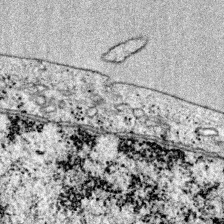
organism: Human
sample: HeLa cells